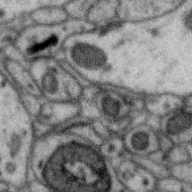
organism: Zebra finch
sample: Brain